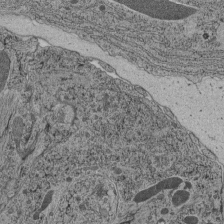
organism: C. elegans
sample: C. elegans pharynx